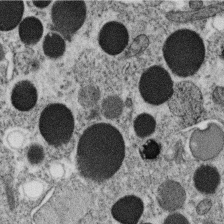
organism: C. elegans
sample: C. elegans oocyte; sperm cells